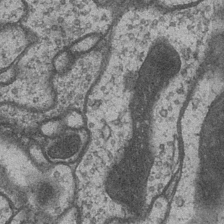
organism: Drosophila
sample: Optic medulla